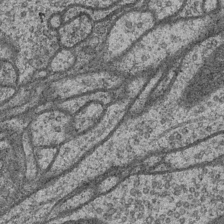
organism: Drosophila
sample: Optic medulla